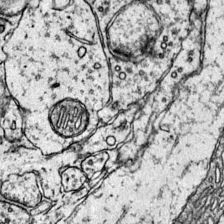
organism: Mouse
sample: Primary visual cortex